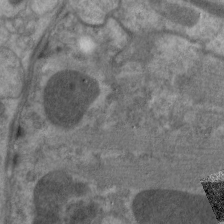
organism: C. elegans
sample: Pharynx